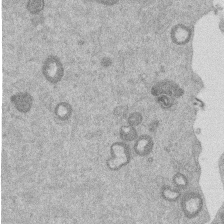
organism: Mouse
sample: Dividing mouse embryo 1 cell stage